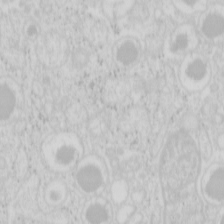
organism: Mouse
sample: Pancreas